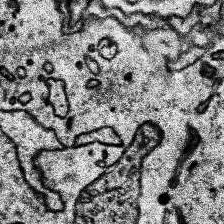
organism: Human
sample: Temporal Lobe